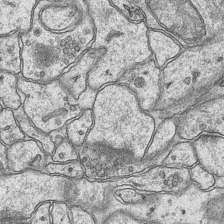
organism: Mouse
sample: CA1 Hippocampus